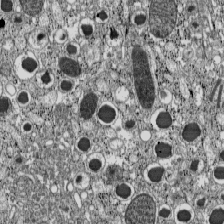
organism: C57BL Mouse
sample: Pancreatic islet